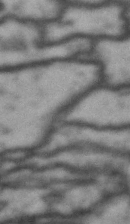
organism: Drosophila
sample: Brain